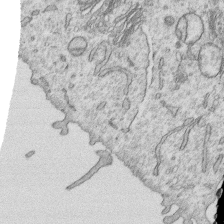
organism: Human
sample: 1205lu cells